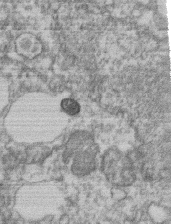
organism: Mouse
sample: T cell stromal cell synapse